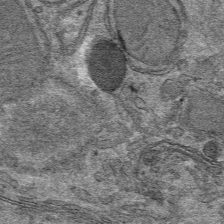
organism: Mouse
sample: Mouse hepatocytes